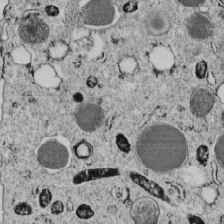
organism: C. elegans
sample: C. elegans embryo early stage